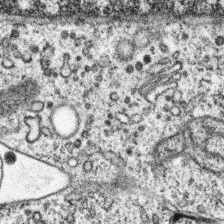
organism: Human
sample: HeLa cells